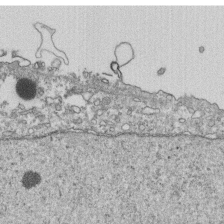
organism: Human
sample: HeLa cell HIV synapse